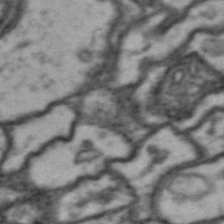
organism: Drosophila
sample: Brain